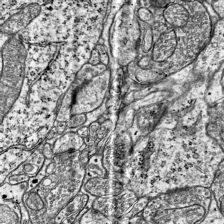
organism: Mouse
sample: Visual Cortex